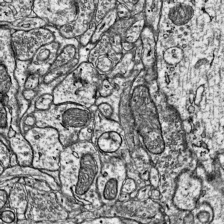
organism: Mouse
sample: Visual Cortex